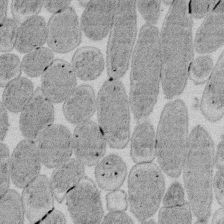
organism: E. coli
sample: Bacterial nucleoid